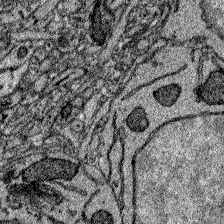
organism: Zebrafish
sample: Larval olfactory bulb